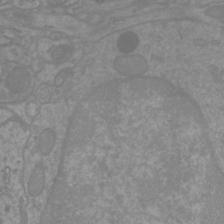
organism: Mouse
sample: Cortical neurons